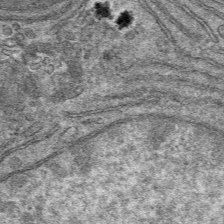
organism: Mouse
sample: Mouse hepatocytes